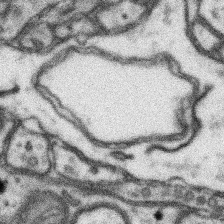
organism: Mouse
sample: Somatosensory cortex neuropil